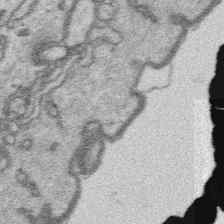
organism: Platynereis dumerilii